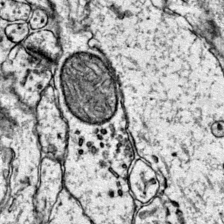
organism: Mouse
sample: Primary visual cortex